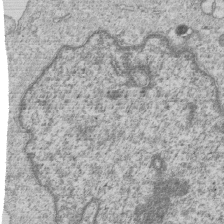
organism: Human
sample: MDA-MB-231 cells